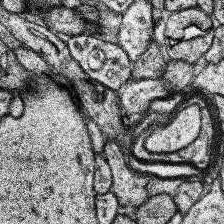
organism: Human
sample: Temporal Lobe